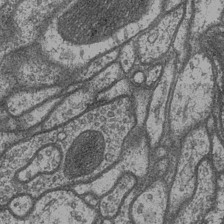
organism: Drosophila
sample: Optic medulla